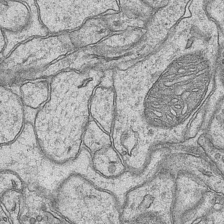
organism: Mouse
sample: CA1 Hippocampus